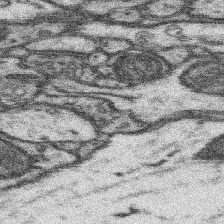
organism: Mouse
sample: Somatosensory cortex neuropil